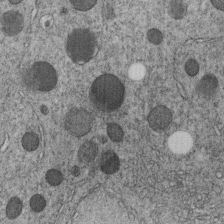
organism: C. elegans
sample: C. elegans embryo early stage